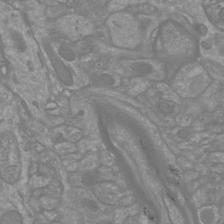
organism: Mouse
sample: Cortical neurons